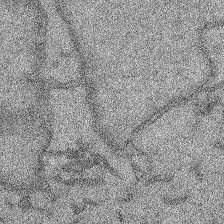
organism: Human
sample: HeLa cells